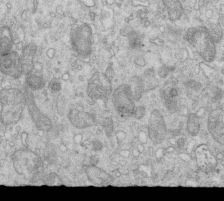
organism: Mouse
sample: Multiciliated cells